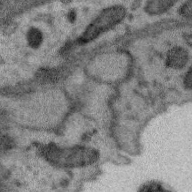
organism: Zebra finch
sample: Brain